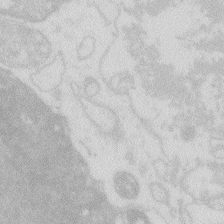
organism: Zebrafish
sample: Macrophage